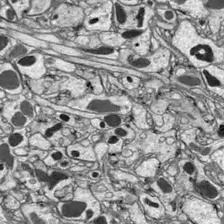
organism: Drosophila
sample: Optic lobe